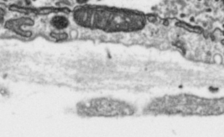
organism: Toxoplasma gondii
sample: Parasites in a vacuole inside a host cell